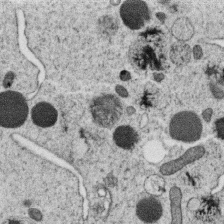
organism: C. elegans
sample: C. elegans oocyte; sperm cells